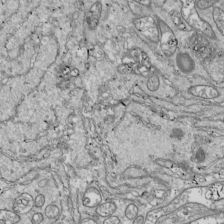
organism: Drosophila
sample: Cell division; meiosis; drosophila spermatocytes